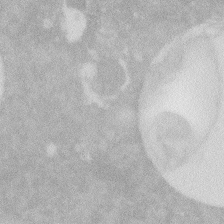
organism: Zebrafish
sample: Macrophage